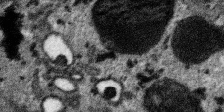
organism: Human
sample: Lung epithelial cells infected with SARS-CoV-2